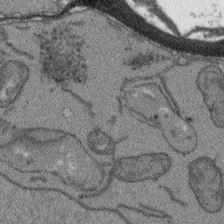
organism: Arabidopsis thaliana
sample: Root tip